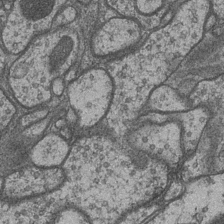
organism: Drosophila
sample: Optic medulla